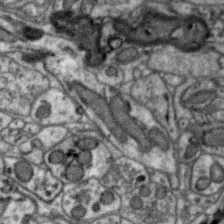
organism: Zebra finch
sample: Brain